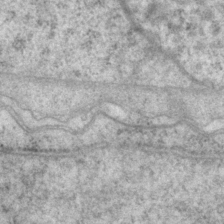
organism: P. pacificus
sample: Pharynx